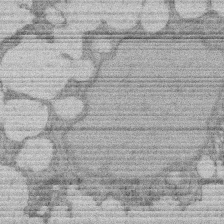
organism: Rat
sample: Salivary granule